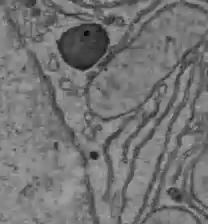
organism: C57BL Mouse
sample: Liver